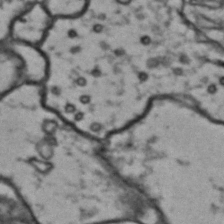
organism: Drosophila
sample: Brain